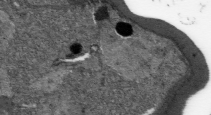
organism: Plasmodium falciparum